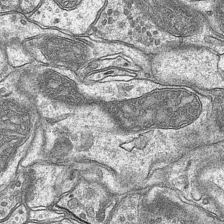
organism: Mouse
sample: CA1 Hippocampus